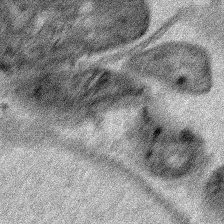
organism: Human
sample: Mitochondria in HCT116 cells